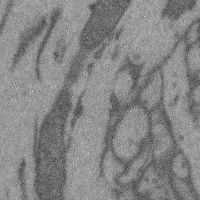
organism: Mouse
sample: Cerebral cortex